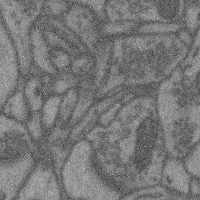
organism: Mouse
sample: Cerebral cortex